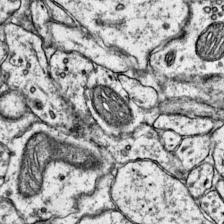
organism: Mouse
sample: Primary visual cortex